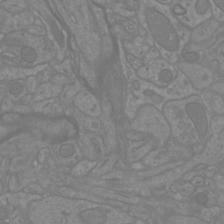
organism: Mouse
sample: Cortical neurons